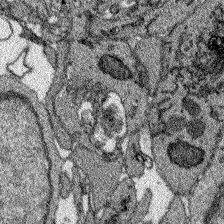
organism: Zebrafish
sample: Larval olfactory bulb